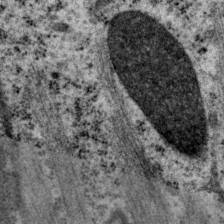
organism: P. pacificus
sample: Pharynx